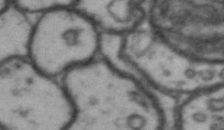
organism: Drosophila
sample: Brain